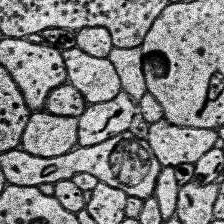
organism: Human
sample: Temporal Lobe